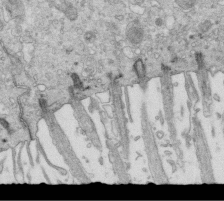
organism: Mouse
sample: Multiciliated cells